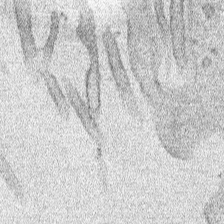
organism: Human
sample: Mitochondria in HCT116 cells